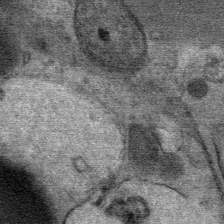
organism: Mouse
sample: Mouse Salivary gland